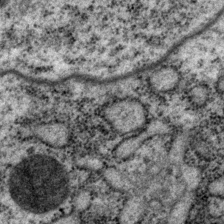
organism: P. pacificus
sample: Pharynx